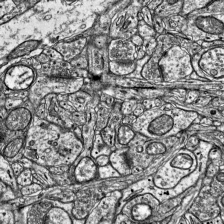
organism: Mouse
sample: Visual Cortex